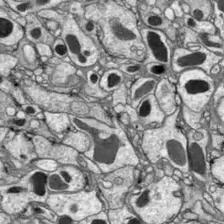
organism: Drosophila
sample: Optic lobe